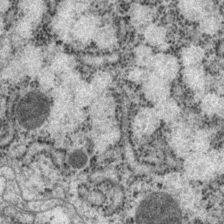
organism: P. pacificus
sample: Pharynx